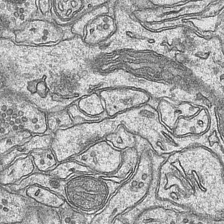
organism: Mouse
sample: CA1 Hippocampus